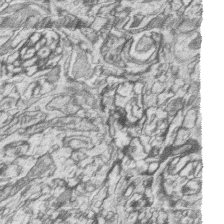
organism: Zebrafish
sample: synaptic ribbons in rod cells and cone cells